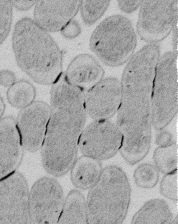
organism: E. coli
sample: Bacterial nucleoid